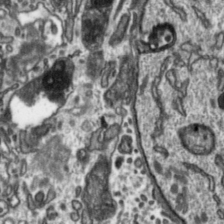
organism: Toxoplasma gondii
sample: Parasites in a vacuole inside a host cell